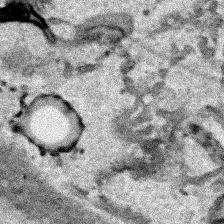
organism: Human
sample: Mitochondria in HCT116 cells